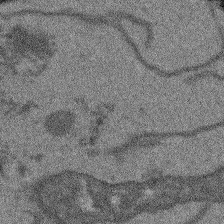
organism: Arabidopsis thaliana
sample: Root tip